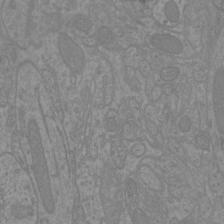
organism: Mouse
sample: Cortical neurons